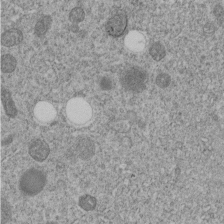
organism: C. elegans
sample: C. elegans embryo early stage